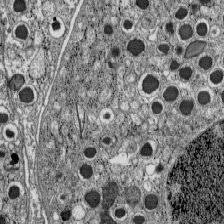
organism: C57BL Mouse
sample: Pancreatic islet